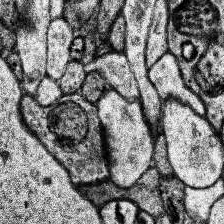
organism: Human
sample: Temporal Lobe